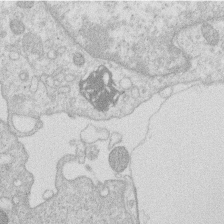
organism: Human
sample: Macrophage cells